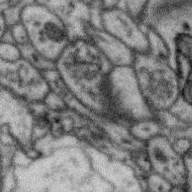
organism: Zebra finch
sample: Brain